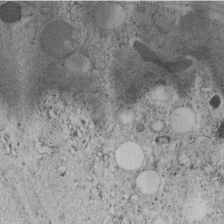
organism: C. elegans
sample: C. elegans embryo early stage